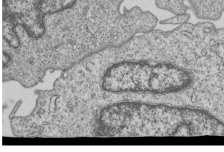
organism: Human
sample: MDA-MB-231 cells